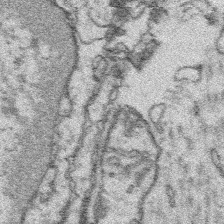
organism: Platynereis dumerilii